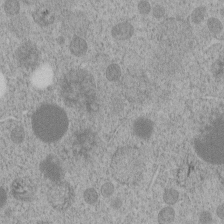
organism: C. elegans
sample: C. elegans embryo early stage